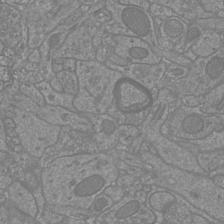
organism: Mouse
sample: Cortical neurons